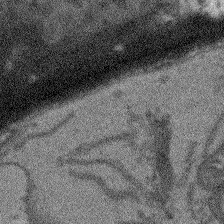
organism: Arabidopsis thaliana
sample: Root tip